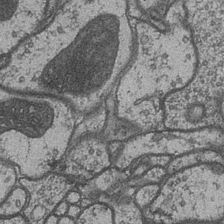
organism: Drosophila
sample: Optic medulla